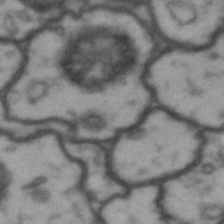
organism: Drosophila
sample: Brain